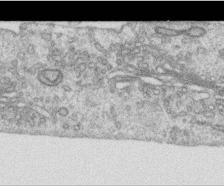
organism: Human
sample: Centriole in RPE cells